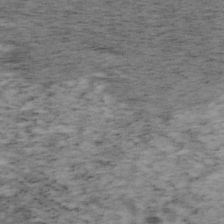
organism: Mouse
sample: OT-I killer T cells with ID8 ovarian cancer cells